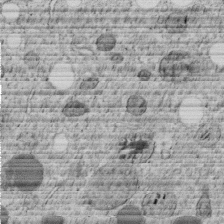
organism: C. elegans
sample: C. elegans embryo early stage